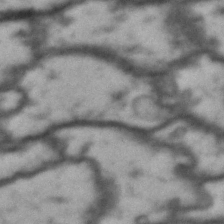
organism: Drosophila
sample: Brain